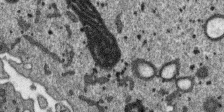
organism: Human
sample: Lung epithelial cells infected with SARS-CoV-2